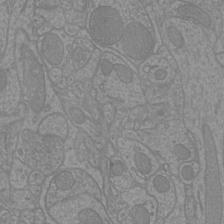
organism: Mouse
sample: Cortical neurons